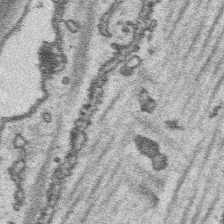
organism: Platynereis dumerilii